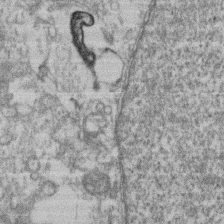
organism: Mouse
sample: T cell stromal cell synapse